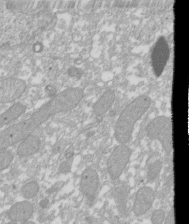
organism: Xenopus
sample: Cilia; centrioles in frog embryo cells